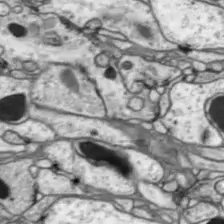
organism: Drosophila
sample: Optic lobe